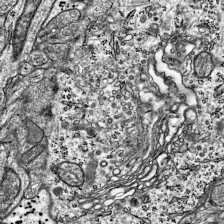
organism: Mouse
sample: Visual Cortex